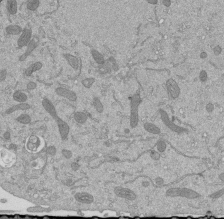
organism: Mouse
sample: ED-1 cell nuclei; centrioles